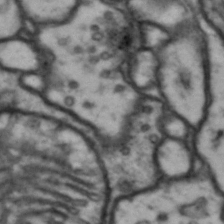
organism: Drosophila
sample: Brain